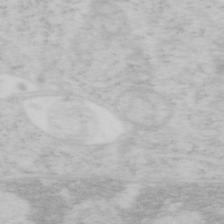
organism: Mouse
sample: OT-I killer T cells with ID8 ovarian cancer cells